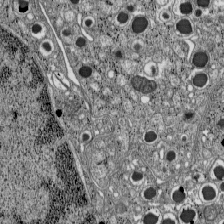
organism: C57BL Mouse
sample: Pancreatic islet